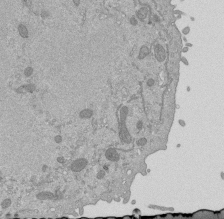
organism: Mouse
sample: ED-1 cell nuclei; centrioles